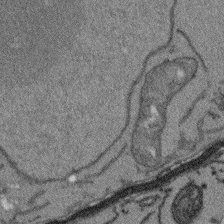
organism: Arabidopsis thaliana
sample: Root tip